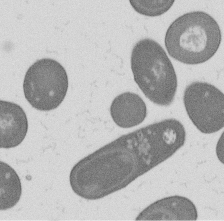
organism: B. subtilis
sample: Bacterial spore